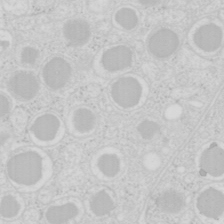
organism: Mouse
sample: Pancreas